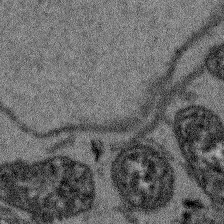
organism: Arabidopsis thaliana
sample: Root tip